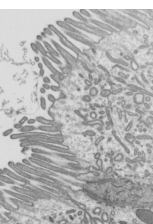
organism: Mouse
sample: Mouse epididymis efferent ductule cilia